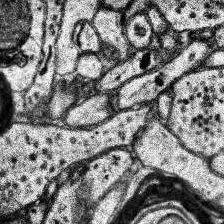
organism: Human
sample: Temporal Lobe